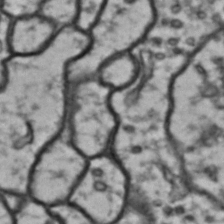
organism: Drosophila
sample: Brain